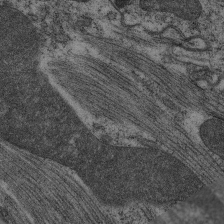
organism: C. elegans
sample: Pharynx